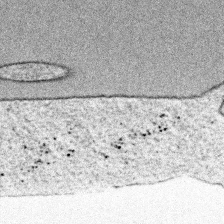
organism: Human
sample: HeLa cells